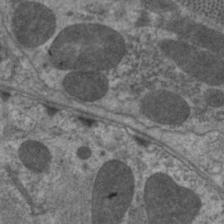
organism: C. elegans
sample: Pharynx